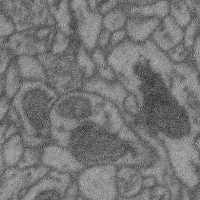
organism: Mouse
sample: Cerebral cortex